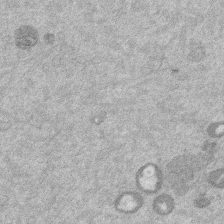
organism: Mouse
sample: Dividing mouse embryo 1 cell stage